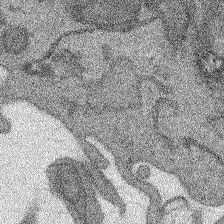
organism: Human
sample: HeLa cells